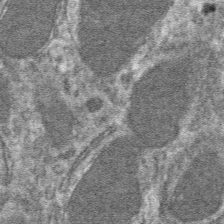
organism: Mouse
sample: Mouse hepatocytes